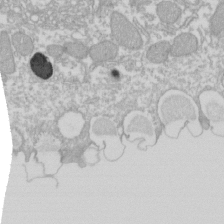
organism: Xenopus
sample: Cilia; centrioles in frog embryo cells